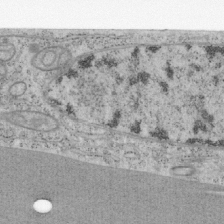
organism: Human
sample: HeLa cells